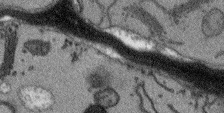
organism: Arabidopsis thaliana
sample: Root tip